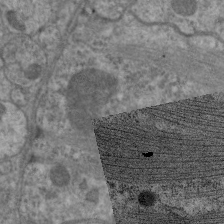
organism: C. elegans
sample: Pharynx